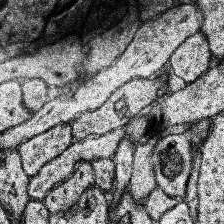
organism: Human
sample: Temporal Lobe